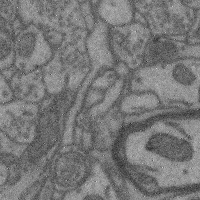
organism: Mouse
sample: Cerebral cortex